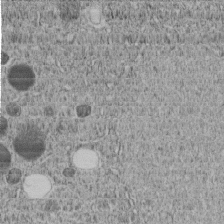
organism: C. elegans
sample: C. elegans embryo early stage